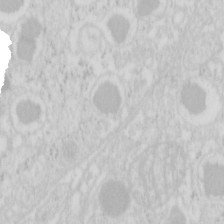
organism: Mouse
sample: Pancreas